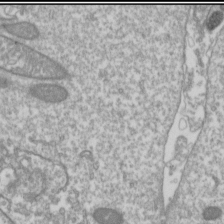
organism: Drosophila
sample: Cell division; meiosis; drosophila spermatocytes